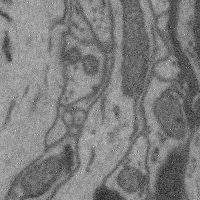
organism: Mouse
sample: Cerebral cortex